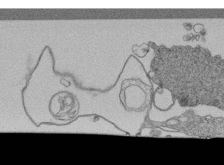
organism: Human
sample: Retinal organoid Rod and Cone cells